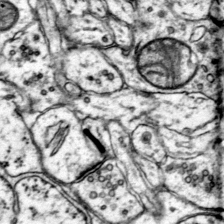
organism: Mouse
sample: Primary visual cortex